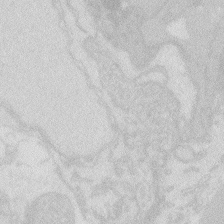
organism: Zebrafish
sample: Macrophage